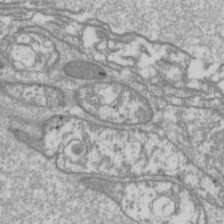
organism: Drosophila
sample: Cell division; meiosis; drosophila spermatocytes